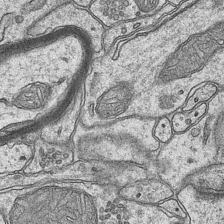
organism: Mouse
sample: CA1 Hippocampus